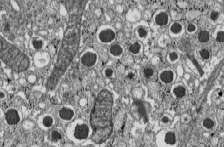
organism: C57BL Mouse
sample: Pancreatic islet